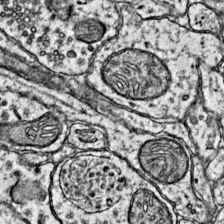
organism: Mouse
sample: Primary visual cortex